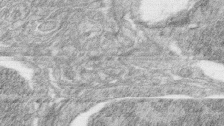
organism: Zebrafish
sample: synaptic ribbons in rod cells and cone cells